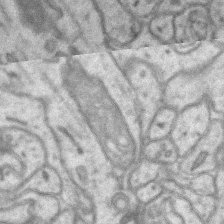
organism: Mouse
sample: CA1 Hippocampus